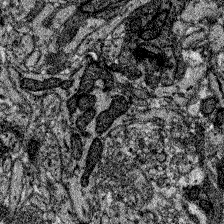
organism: Zebrafish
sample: Larval olfactory bulb